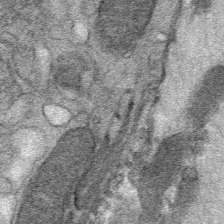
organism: Mouse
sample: Mouse Salivary gland